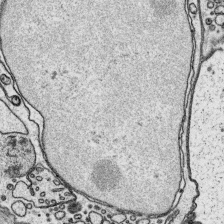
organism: Platynereis dumerilii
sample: Parapodia